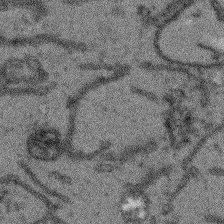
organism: Arabidopsis thaliana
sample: Root tip